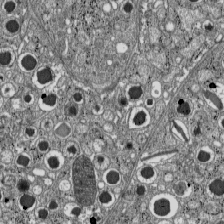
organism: C57BL Mouse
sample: Pancreatic islet